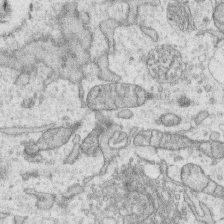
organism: Human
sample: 1205lu cells